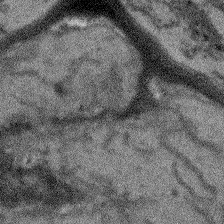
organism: Arabidopsis thaliana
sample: Root tip